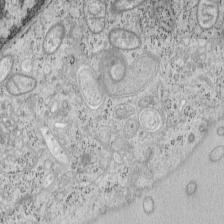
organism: Mouse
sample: OT-I killer T cells with ID8 ovarian cancer cells